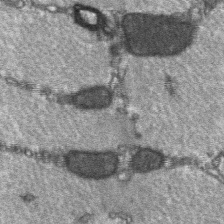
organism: C57BL Mouse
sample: Soleus